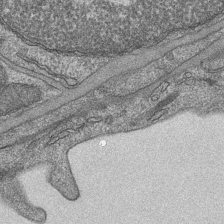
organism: Mouse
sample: CA1 Hippocampus